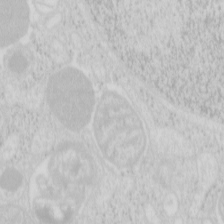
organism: Mouse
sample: Pancreas